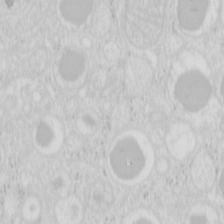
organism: Mouse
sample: Pancreas